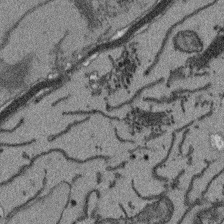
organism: Arabidopsis thaliana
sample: Root tip